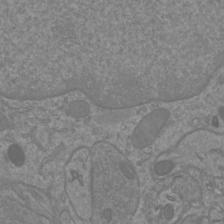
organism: Mouse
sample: Cortical neurons